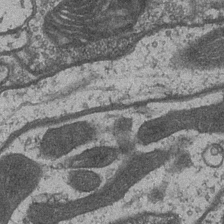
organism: Drosophila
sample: Optic medulla